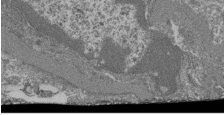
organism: Mouse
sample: Glomerulus